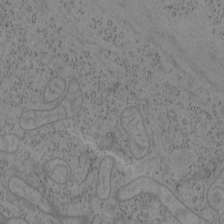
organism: Mouse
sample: OT-I killer T cells with ID8 ovarian cancer cells